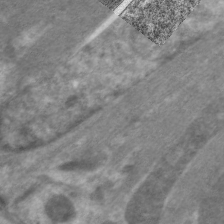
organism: C. elegans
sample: Pharynx